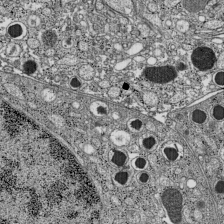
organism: C57BL Mouse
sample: Pancreatic islet